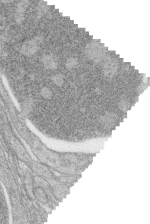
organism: Zebrafish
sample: synaptic ribbons in rod cells and cone cells